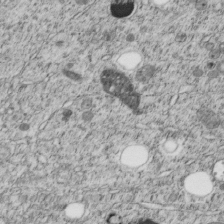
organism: C. elegans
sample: C. elegans embryo early stage